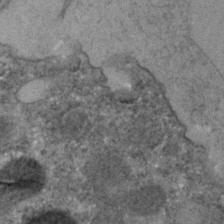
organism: C. elegans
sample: C. elegans embryo